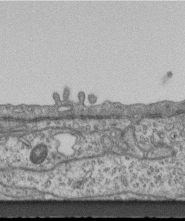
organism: Mouse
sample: Centriole in ependymal cells